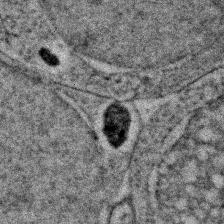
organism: Zebrafish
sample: Zebrafish embryo